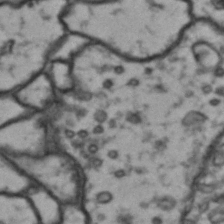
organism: Drosophila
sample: Brain